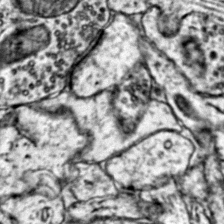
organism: Mouse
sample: Primary visual cortex